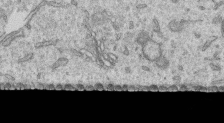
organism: Human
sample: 1205lu cells